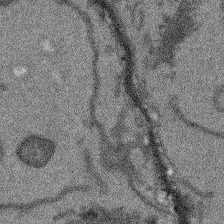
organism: Arabidopsis thaliana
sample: Root tip